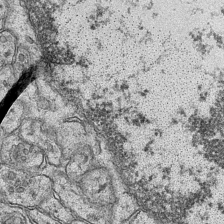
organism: Mouse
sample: CA1 Hippocampus